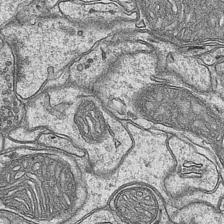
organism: Mouse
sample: CA1 Hippocampus